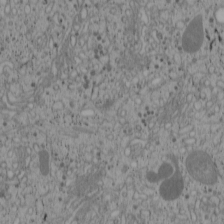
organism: African green monkey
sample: COS-7 cells